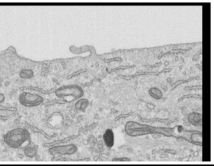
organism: Human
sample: Centriole in RPE cells